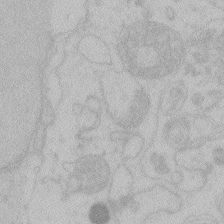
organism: Zebrafish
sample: Macrophage infected with Toxoplasma gondii